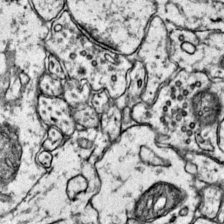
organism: Mouse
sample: Primary visual cortex